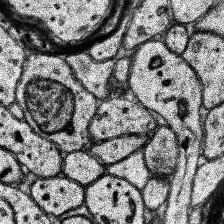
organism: Human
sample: Temporal Lobe